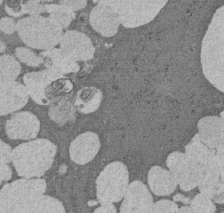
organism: Rat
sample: Salivary granule